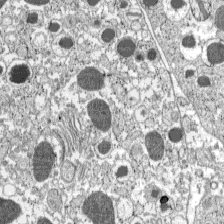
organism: C57BL Mouse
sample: Pancreatic islet